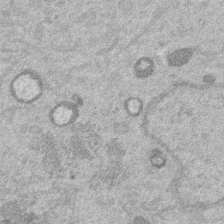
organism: Mouse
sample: Dividing mouse embryo 1 cell stage